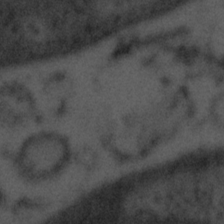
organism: Tuwongella immobilis